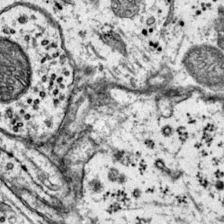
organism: Mouse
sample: Primary visual cortex